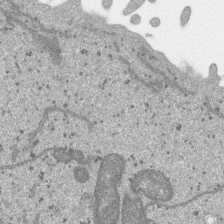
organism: Human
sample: Lung epithelial cells infected with SARS-CoV-2